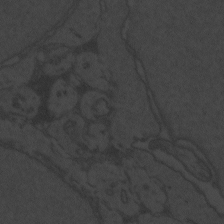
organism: Zebrafish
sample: Macrophage infected with Toxoplasma gondii